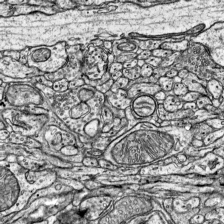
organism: Mouse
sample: Visual Cortex